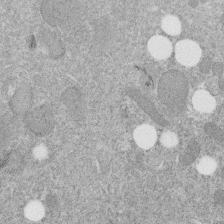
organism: C. elegans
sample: C. elegans embryo early stage